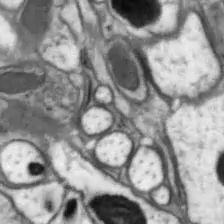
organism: Drosophila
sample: Optic lobe